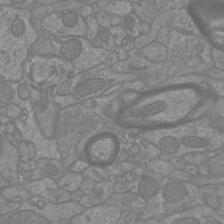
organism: Mouse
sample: Cortical neurons